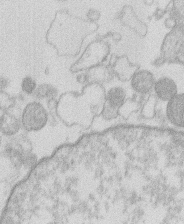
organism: Human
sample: Macrophage cells